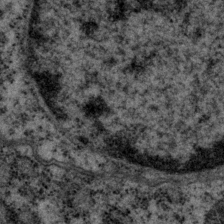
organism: P. pacificus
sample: Pharynx